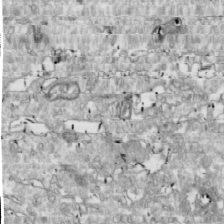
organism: Drosophila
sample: Cell division; meiosis; drosophila spermatocytes